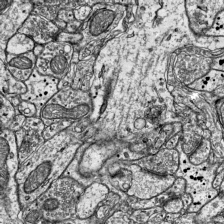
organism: Mouse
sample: Visual Cortex